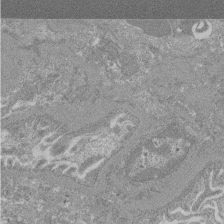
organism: Mouse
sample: Glomerulus